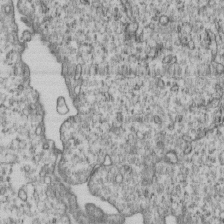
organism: Human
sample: MDA-MB-231 cells